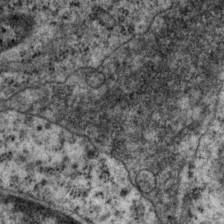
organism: P. pacificus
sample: Pharynx